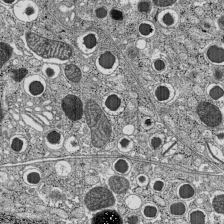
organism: C57BL Mouse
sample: Pancreatic islet